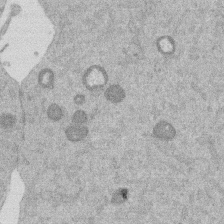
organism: Mouse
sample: Dividing mouse embryo 1 cell stage